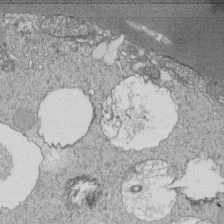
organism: Tetrahymena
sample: Cilia in tetrahymena